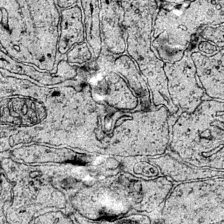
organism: Mouse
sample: Primary visual cortex